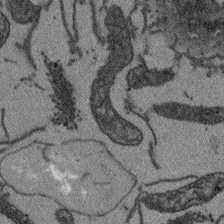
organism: Arabidopsis thaliana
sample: Root tip